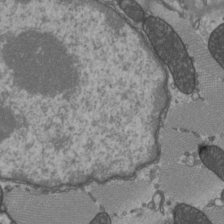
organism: C57BL Mouse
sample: Heart